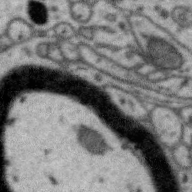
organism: Zebra finch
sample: Brain